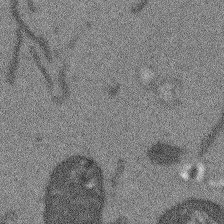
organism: Arabidopsis thaliana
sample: Root tip